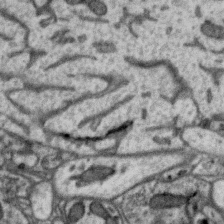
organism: Zebra finch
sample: Brain